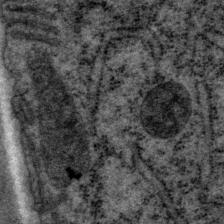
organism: P. pacificus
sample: Pharynx